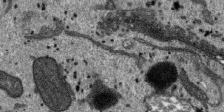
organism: Human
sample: Lung epithelial cells, uninfected (mock) control